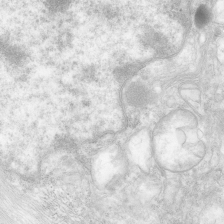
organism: Human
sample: Neocortex